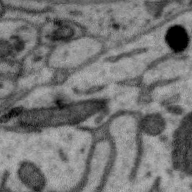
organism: Zebra finch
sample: Brain